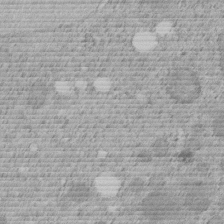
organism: C. elegans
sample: C. elegans embryo early stage